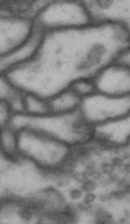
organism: Drosophila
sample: Brain